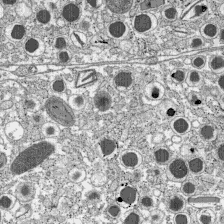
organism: C57BL Mouse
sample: Pancreatic islet